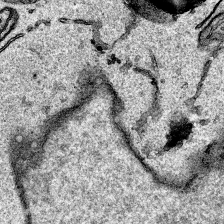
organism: Human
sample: Mitochondria in HCT116 cells